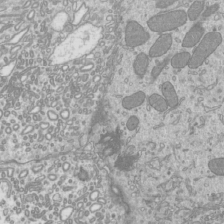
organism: Mouse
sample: Cilia; mouse epididymis